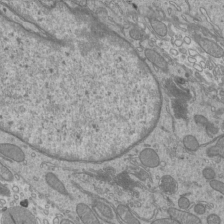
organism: Mouse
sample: Cilia; mouse epididymis